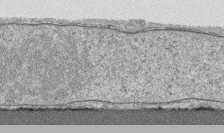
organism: Human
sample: CRL-1474